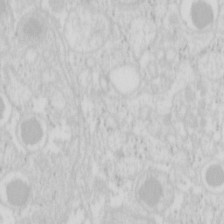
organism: Mouse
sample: Pancreas